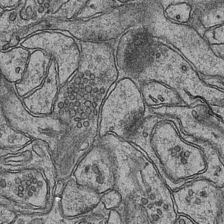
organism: Mouse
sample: CA1 Hippocampus